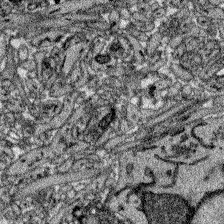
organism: Zebrafish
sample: Larval olfactory bulb